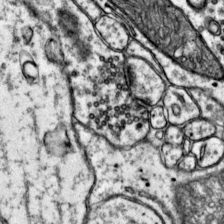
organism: Mouse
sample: Primary visual cortex